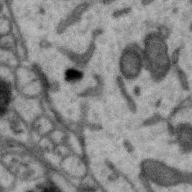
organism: Zebra finch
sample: Brain